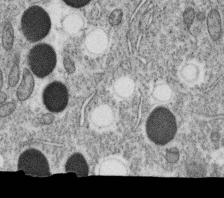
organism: C. elegans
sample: C. elegans oocyte; sperm cells